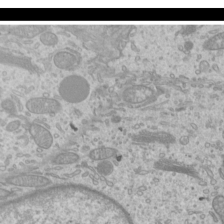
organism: Mouse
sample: Cilia; mouse epididymis